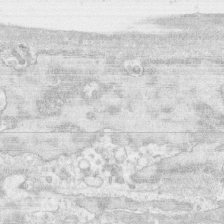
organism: Human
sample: CRL-1474